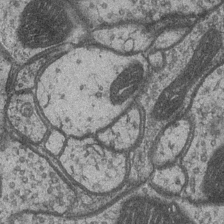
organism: Drosophila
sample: Optic medulla